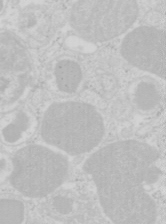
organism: Mouse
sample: Pancreas